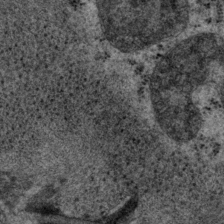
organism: P. pacificus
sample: Pharynx